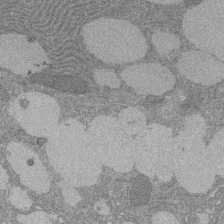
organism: Rat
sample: Salivary granule